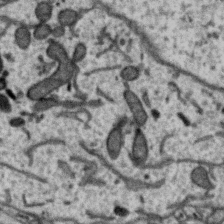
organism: Zebra finch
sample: Brain